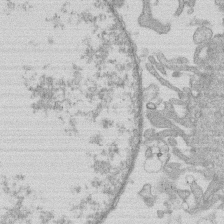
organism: Human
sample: Macrophage cells